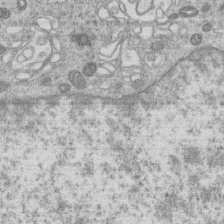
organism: Human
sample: Macrophage cells